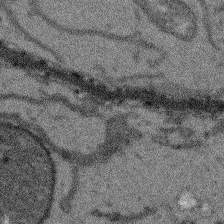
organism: Arabidopsis thaliana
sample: Root tip